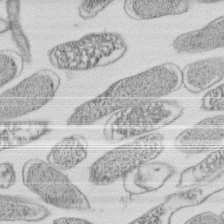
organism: E. coli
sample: Bacterial nucleoid